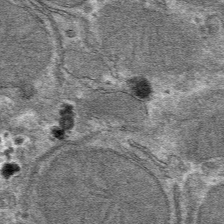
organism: Mouse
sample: Mouse hepatocytes